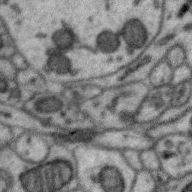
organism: Zebra finch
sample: Brain